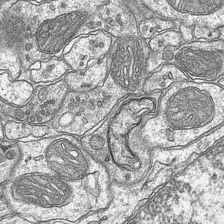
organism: Mouse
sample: CA1 Hippocampus